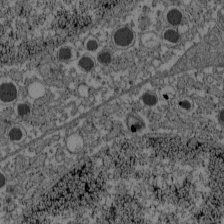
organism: C57BL Mouse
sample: Pancreatic islet